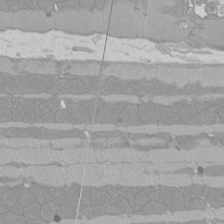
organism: Rat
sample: Left ventricle